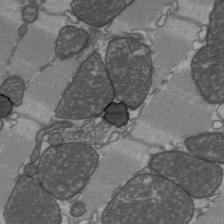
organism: C57BL Mouse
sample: Heart